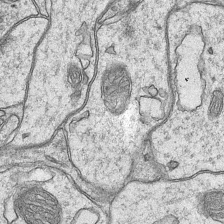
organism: Mouse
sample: CA1 Hippocampus